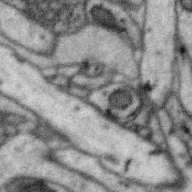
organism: Zebra finch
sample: Brain